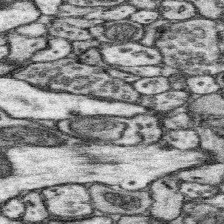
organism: Mouse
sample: Somatosensory cortex neuropil